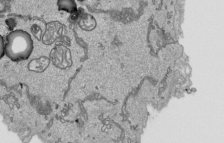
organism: Human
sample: Mitochondria in HCT116 cells